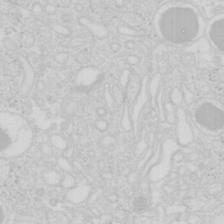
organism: Mouse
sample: Pancreas